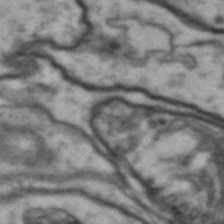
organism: Drosophila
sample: Brain